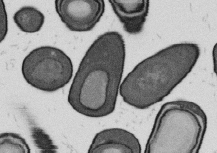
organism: B. subtilis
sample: Bacterial spore